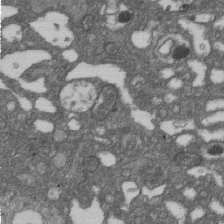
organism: Drosophila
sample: Nephrocyte